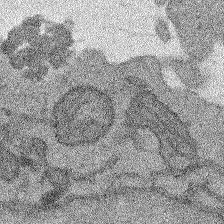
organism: Human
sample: HeLa cells